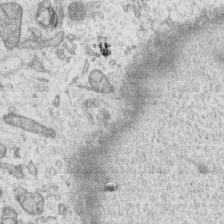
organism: Human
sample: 1205lu cells